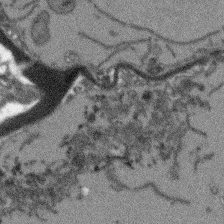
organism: Arabidopsis thaliana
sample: Root tip